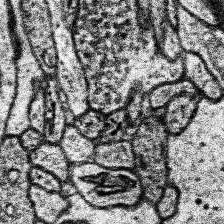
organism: Human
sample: Temporal Lobe